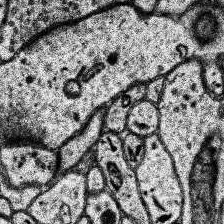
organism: Human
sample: Temporal Lobe